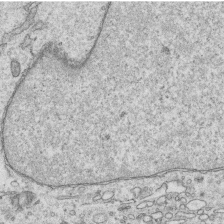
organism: Human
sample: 1205lu cells